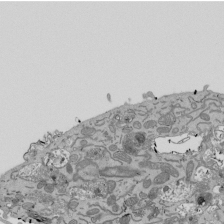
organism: Mouse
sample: ED-1 cell nuclei; centrioles